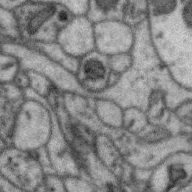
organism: Zebra finch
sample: Brain